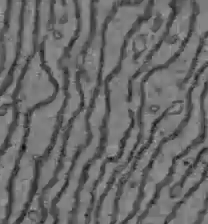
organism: C57BL Mouse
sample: Liver